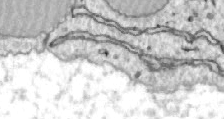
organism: Zebrafish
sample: Actinotrichia fibers